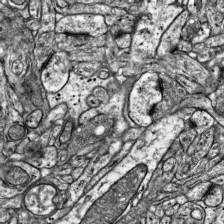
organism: Mouse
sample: Visual Cortex